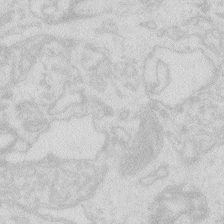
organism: Zebrafish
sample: Macrophage